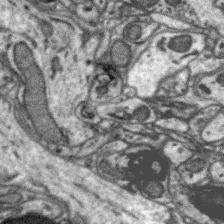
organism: Zebra finch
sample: Brain